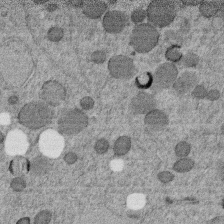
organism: C. elegans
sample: C. elegans embryo early stage